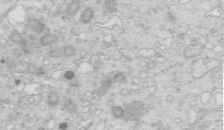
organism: Mouse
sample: Multiciliated cells